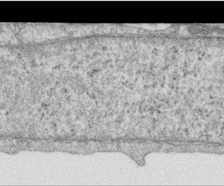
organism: Human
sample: Centriole in RPE cells